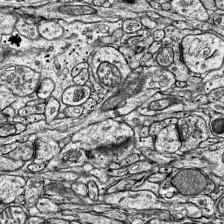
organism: Mouse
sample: Visual Cortex